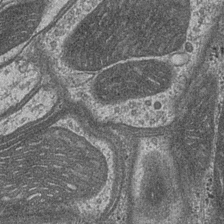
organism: Drosophila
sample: Optic medulla